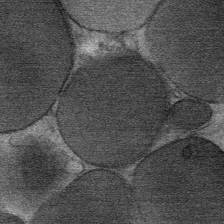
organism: Mouse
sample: Mouse Salivary gland